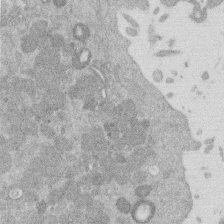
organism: Mouse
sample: Dividing mouse embryo 1 cell stage